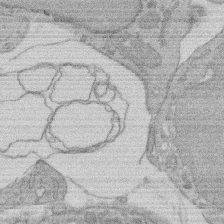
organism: Rat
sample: Salivary granule